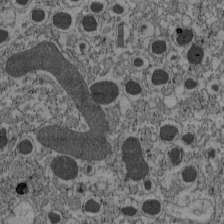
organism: C57BL Mouse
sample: Pancreatic islet